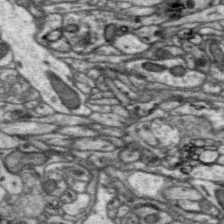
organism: Zebra finch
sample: Brain